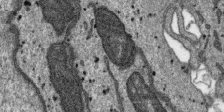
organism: Human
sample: Lung epithelial cells, uninfected (mock) control